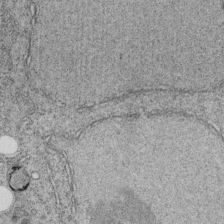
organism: C. elegans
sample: C. elegans embryo early stage